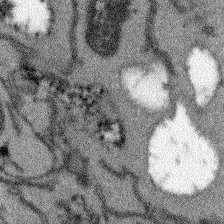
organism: Arabidopsis thaliana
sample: Root tip